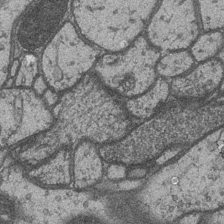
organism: Drosophila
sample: Optic medulla